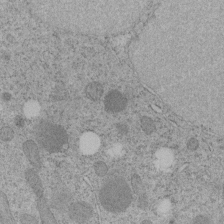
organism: C. elegans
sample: C. elegans embryo early stage